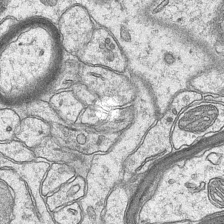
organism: Mouse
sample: CA1 Hippocampus